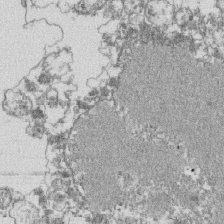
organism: Human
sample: HeLa cell HIV synapse